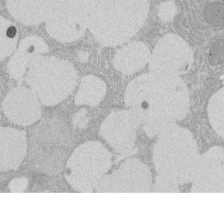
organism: Rat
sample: Salivary granule